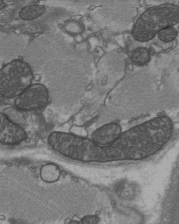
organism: C57BL Mouse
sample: Heart